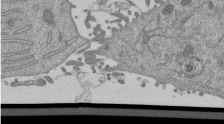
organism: Mouse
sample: ED-1 cell nuclei; centrioles